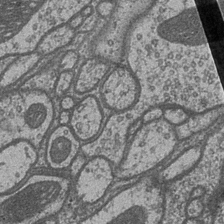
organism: Drosophila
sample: Optic medulla